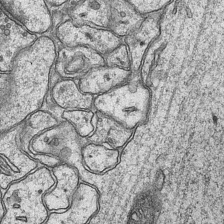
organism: Mouse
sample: CA1 Hippocampus